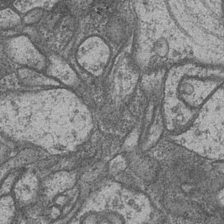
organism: Drosophila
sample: Optic medulla